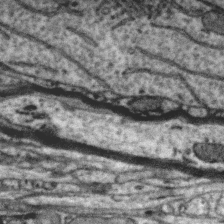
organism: Zebra finch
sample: Brain